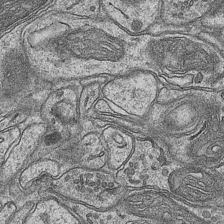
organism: Mouse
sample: CA1 Hippocampus